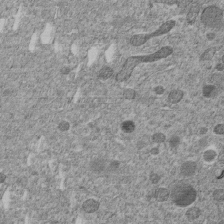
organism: C. elegans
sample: C. elegans embryo early stage